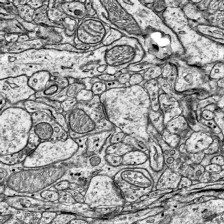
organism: Mouse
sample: Visual Cortex